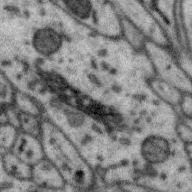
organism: Zebra finch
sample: Brain